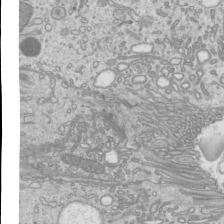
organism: Mouse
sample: Cilia; mouse epididymis